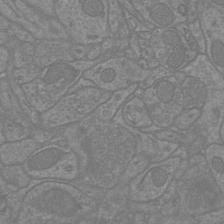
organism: Mouse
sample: Cortical neurons